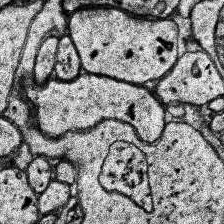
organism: Human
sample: Temporal Lobe